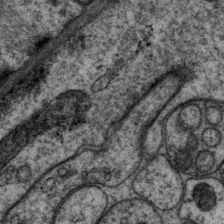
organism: P. pacificus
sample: Pharynx